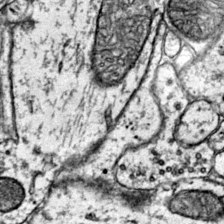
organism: Mouse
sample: Primary visual cortex